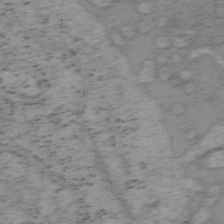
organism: Mouse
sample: OT-I killer T cells with ID8 ovarian cancer cells